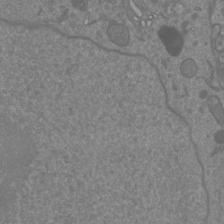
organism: Mouse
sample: Cortical neurons